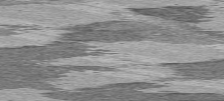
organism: C57BL Mouse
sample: Heart